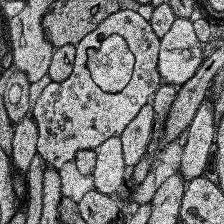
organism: Human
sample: Temporal Lobe